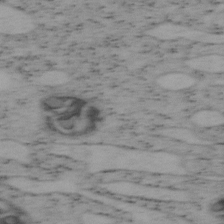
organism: Mouse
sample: OT-I killer T cells with ID8 ovarian cancer cells